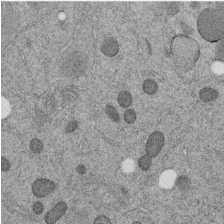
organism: C. elegans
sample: C. elegans embryo early stage